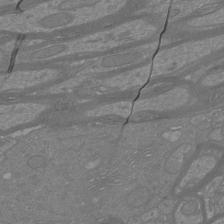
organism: Mouse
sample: Cortical neurons